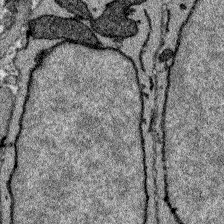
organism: Zebrafish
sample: Larval olfactory bulb